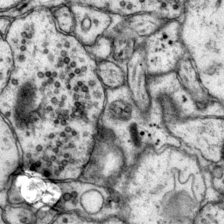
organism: Mouse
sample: Primary visual cortex